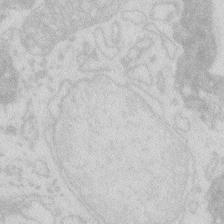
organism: Zebrafish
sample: Macrophage